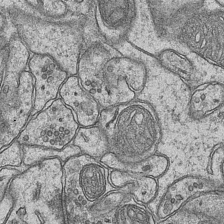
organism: Mouse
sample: CA1 Hippocampus